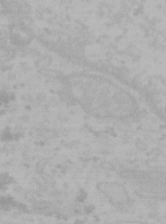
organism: Mouse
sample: Choroid plexus